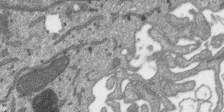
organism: Human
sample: Lung epithelial cells infected with SARS-CoV-2